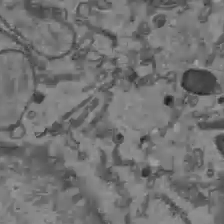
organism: C57BL Mouse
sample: Liver